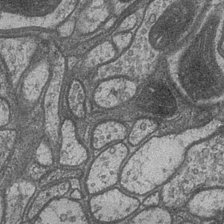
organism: Drosophila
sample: Optic medulla